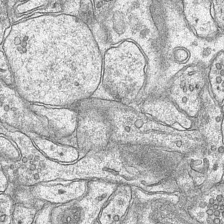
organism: Mouse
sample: CA1 Hippocampus